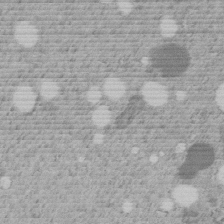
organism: C. elegans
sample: C. elegans embryo early stage